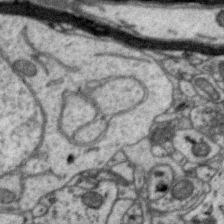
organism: Zebra finch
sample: Brain